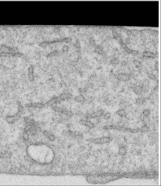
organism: Human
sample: Centriole in RPE cells